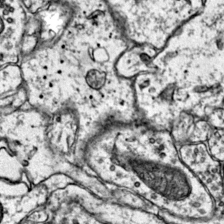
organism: Mouse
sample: Primary visual cortex